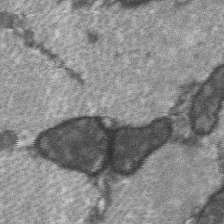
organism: C57BL Mouse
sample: Soleus